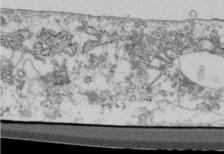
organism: Mouse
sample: Cilia; retinal pigment epithelium